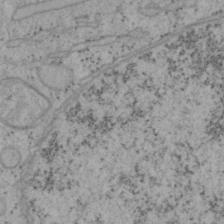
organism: Human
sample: HeLa cells